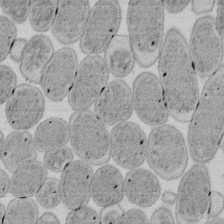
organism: E. coli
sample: Bacterial nucleoid